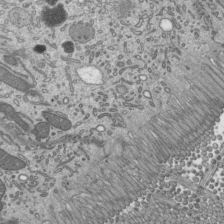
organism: Mouse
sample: Mouse epididymis efferent ductule cilia